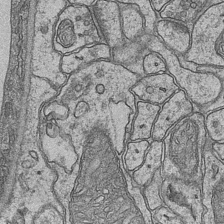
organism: Mouse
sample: CA1 Hippocampus